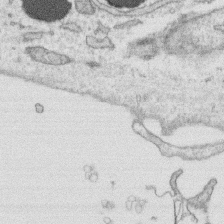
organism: Human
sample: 1205lu cells